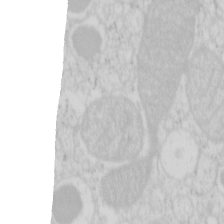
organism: Mouse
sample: Pancreas